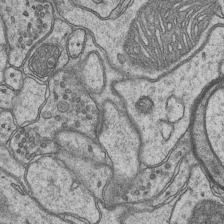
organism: Mouse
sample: CA1 Hippocampus